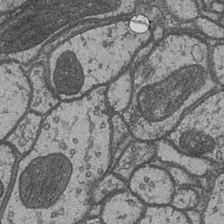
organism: Drosophila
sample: Optic medulla